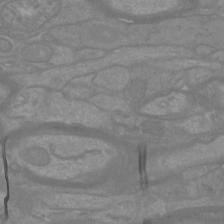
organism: Mouse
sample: Cortical neurons